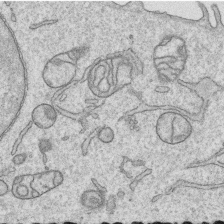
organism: Human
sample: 1205lu cells